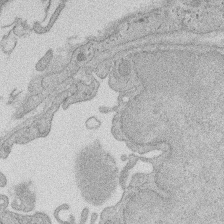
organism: Rat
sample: Salivary granule